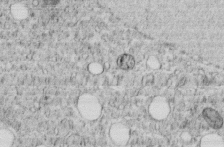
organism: C. elegans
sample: C. elegans embryo early stage